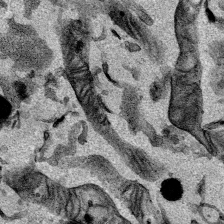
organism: Mouse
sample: Cancer cell death in ED-1 cells